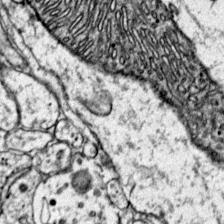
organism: Mouse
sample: Primary visual cortex